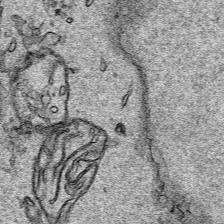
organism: Human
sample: Mitochondria in HCT116 cells